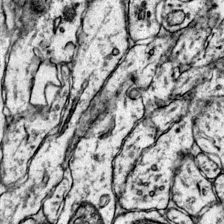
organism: Mouse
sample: Primary visual cortex